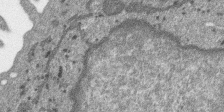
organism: Human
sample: Lung epithelial cells infected with SARS-CoV-2